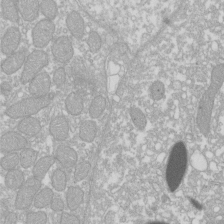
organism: Xenopus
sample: Cilia; centrioles in frog embryo cells